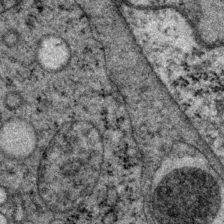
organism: P. pacificus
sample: Pharynx